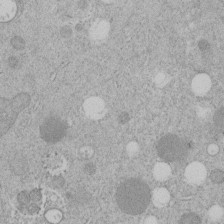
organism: C. elegans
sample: C. elegans embryo early stage